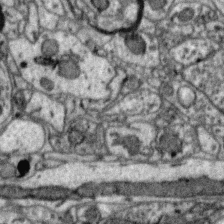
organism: Zebra finch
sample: Brain